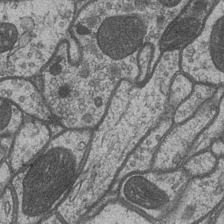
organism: Drosophila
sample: Optic medulla